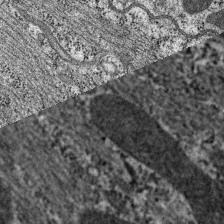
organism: C. elegans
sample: Pharynx